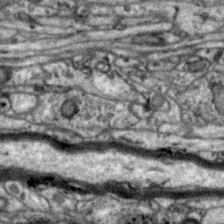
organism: Zebra finch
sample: Brain